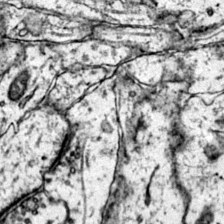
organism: Mouse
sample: Primary visual cortex